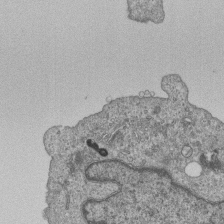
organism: Human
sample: MDA-MB-231 cells